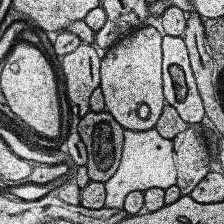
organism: Human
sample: Temporal Lobe